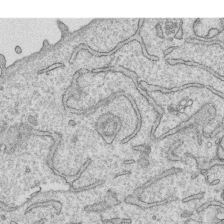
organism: Human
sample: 1205lu cells